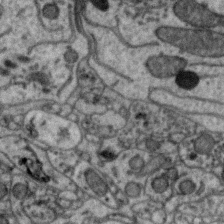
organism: Zebra finch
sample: Brain